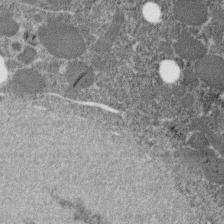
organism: C. elegans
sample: C. elegans embryo early stage